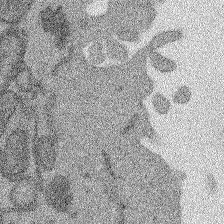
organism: Human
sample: HeLa cells